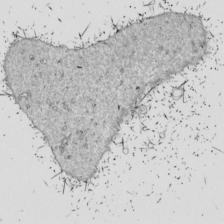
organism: Drosophila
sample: Cell division; meiosis; drosophila spermatocytes